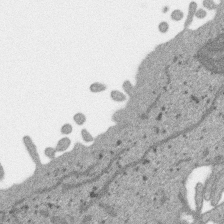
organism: Human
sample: Lung epithelial cells infected with SARS-CoV-2